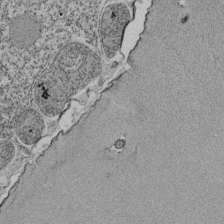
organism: Tetrahymena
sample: Cilia in tetrahymena